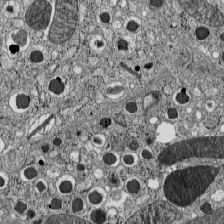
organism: C57BL Mouse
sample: Pancreatic islet